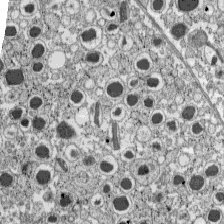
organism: C57BL Mouse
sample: Pancreatic islet